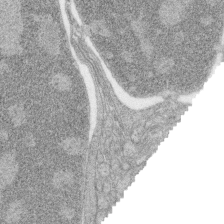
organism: Zebrafish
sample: synaptic ribbons in rod cells and cone cells